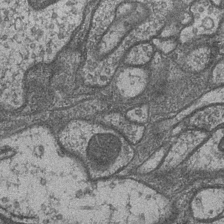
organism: Drosophila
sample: Optic medulla